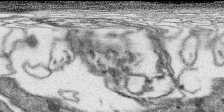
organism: Human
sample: Lung epithelial cells infected with SARS-CoV-2